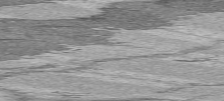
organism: C57BL Mouse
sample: Heart